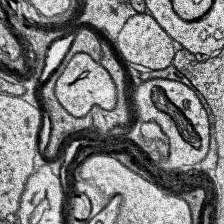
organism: Human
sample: Temporal Lobe